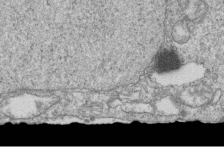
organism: Human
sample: HeLa cell HIV synapse